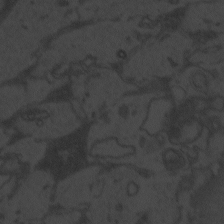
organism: Zebrafish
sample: Macrophage infected with Toxoplasma gondii